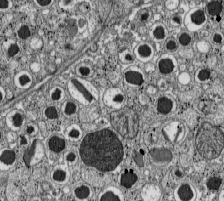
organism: C57BL Mouse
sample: Pancreatic islet